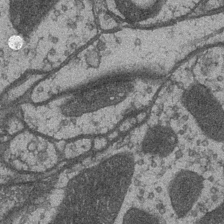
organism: Drosophila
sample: Optic medulla